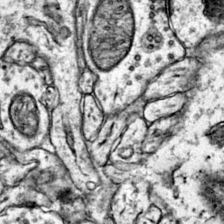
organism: Mouse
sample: Primary visual cortex